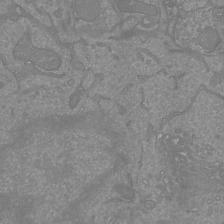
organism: Mouse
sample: Cortical neurons